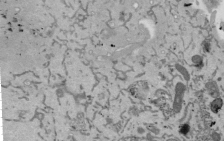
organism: Mouse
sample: ED-1 cell nuclei; centrioles